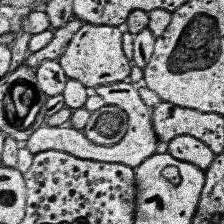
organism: Human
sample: Temporal Lobe